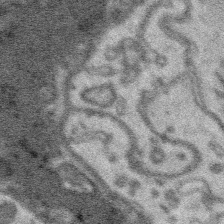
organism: Platynereis dumerilii